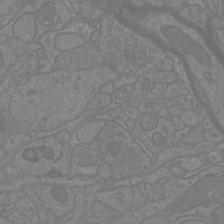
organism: Mouse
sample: Cortical neurons